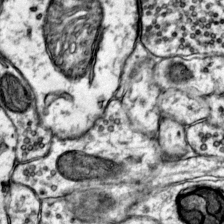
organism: Mouse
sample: Primary visual cortex